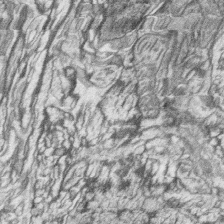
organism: Zebrafish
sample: synaptic ribbons in rod cells and cone cells